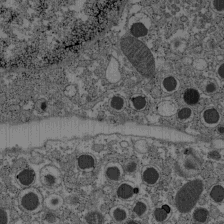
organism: C57BL Mouse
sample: Pancreatic islet